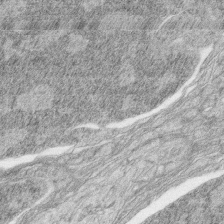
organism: Zebrafish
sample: synaptic ribbons in rod cells and cone cells